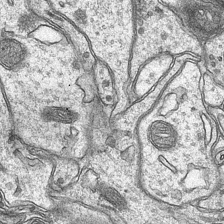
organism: Mouse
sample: CA1 Hippocampus